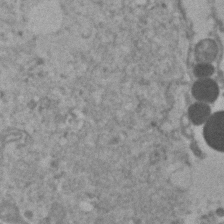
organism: Human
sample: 1205lu cells